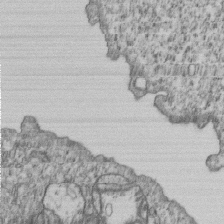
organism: Human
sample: MDA-MB-231 cells